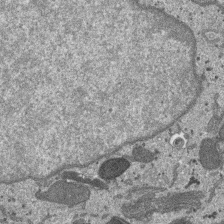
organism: Human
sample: Lung epithelial cells infected with SARS-CoV-2